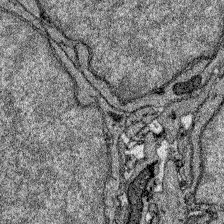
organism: Zebrafish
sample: Larval olfactory bulb